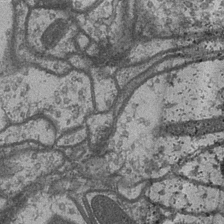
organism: Drosophila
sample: Optic medulla